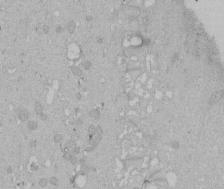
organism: Human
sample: Melanocyte Keratinocyte synapse skin construct